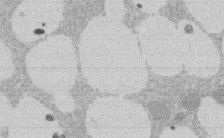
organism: Rat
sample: Salivary granule